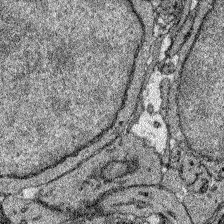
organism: Zebrafish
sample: Larval olfactory bulb